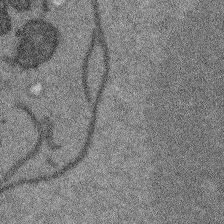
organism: Arabidopsis thaliana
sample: Root tip